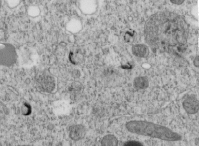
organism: C. elegans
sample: C. elegans embryo early stage